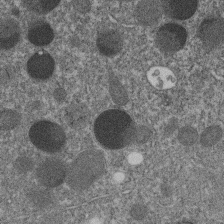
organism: C. elegans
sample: C. elegans embryo early stage